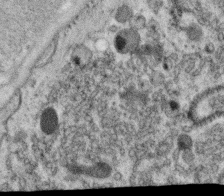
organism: C. elegans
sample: C. elegans oocyte; sperm cells